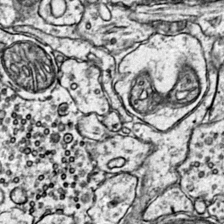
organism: Mouse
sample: Primary visual cortex